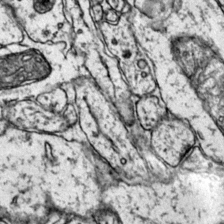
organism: Mouse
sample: Primary visual cortex